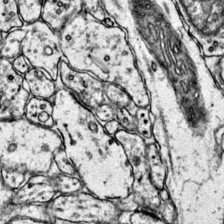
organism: Mouse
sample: Primary visual cortex